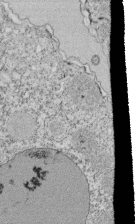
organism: Tetrahymena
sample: Cilia in tetrahymena